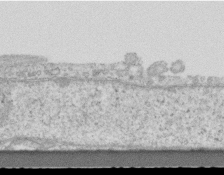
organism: Mouse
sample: Centriole in ependymal cells